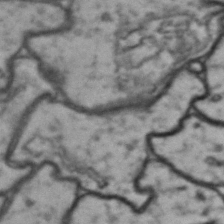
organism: Drosophila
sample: Brain